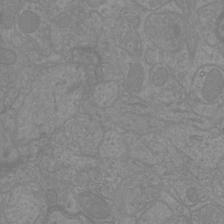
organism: Mouse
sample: Cortical neurons